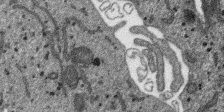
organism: Human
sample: Lung epithelial cells infected with SARS-CoV-2